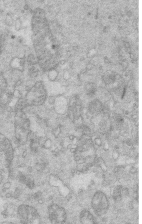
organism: Mouse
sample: Multiciliated cells